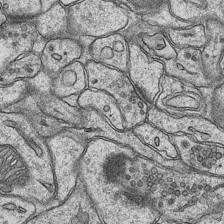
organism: Mouse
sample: CA1 Hippocampus